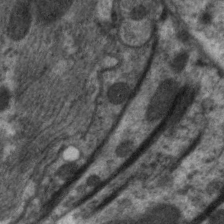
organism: C. elegans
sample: Pharynx